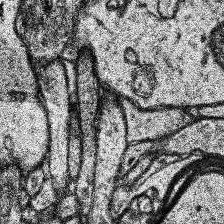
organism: Human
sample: Temporal Lobe